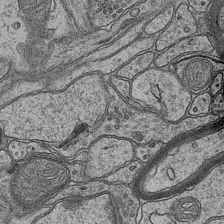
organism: Mouse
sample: CA1 Hippocampus